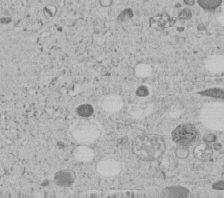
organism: C. elegans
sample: C. elegans embryo early stage